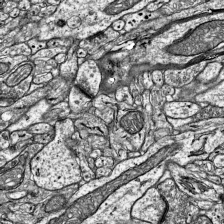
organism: Mouse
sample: Visual Cortex